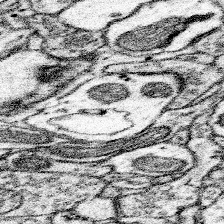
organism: Mouse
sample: Somatosensory cortex neuropil